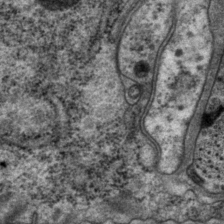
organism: P. pacificus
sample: Pharynx